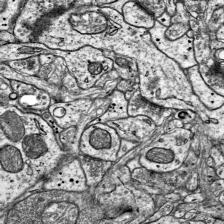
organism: Mouse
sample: Visual Cortex